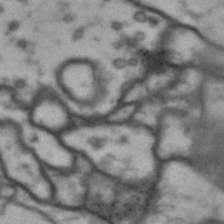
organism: Drosophila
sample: Brain